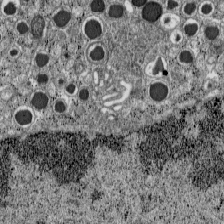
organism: C57BL Mouse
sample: Pancreatic islet